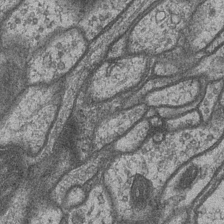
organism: Drosophila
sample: Optic medulla